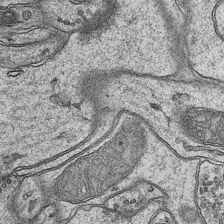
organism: Mouse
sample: CA1 Hippocampus